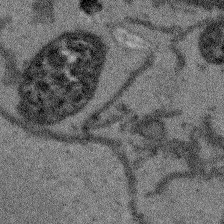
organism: Arabidopsis thaliana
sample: Root tip